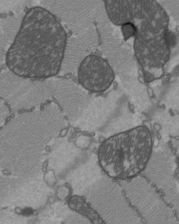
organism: C57BL Mouse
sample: Heart